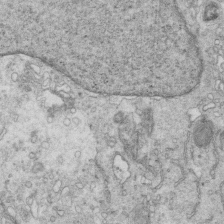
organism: Mouse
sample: Multiciliated cells